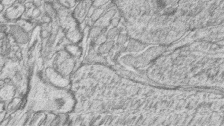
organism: Zebrafish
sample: synaptic ribbons in rod cells and cone cells